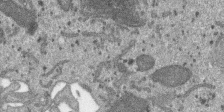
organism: Human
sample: Lung epithelial cells infected with SARS-CoV-2